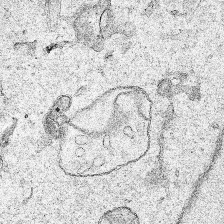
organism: Human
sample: Mitochondria in HCT116 cells